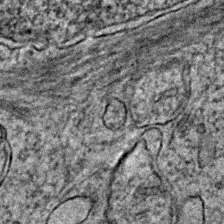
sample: Trachea